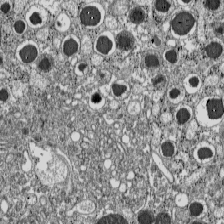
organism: C57BL Mouse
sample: Pancreatic islet